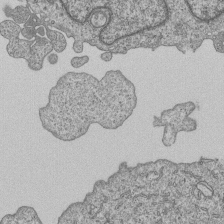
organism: Human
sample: MDA-MB-231 cells